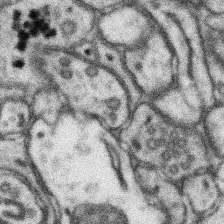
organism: Mouse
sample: Somatosensory cortex neuropil